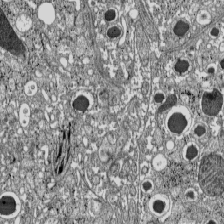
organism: C57BL Mouse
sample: Pancreatic islet